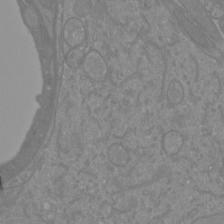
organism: Mouse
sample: Cortical neurons